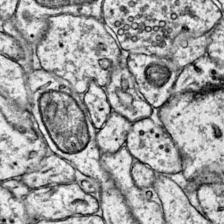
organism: Mouse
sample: Primary visual cortex